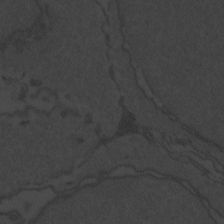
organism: Zebrafish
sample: Macrophage infected with Toxoplasma gondii